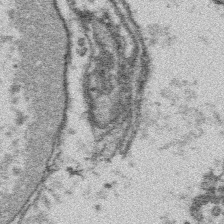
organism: Platynereis dumerilii